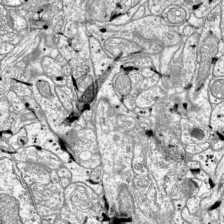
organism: Mouse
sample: Visual Cortex